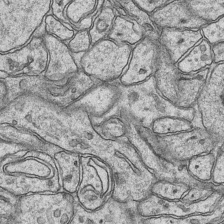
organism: Mouse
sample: CA1 Hippocampus